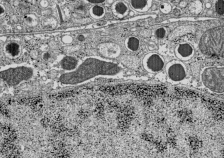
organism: C57BL Mouse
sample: Pancreatic islet